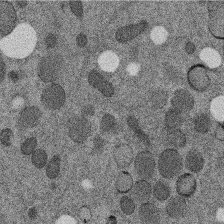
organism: C. elegans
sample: C. elegans embryo early stage